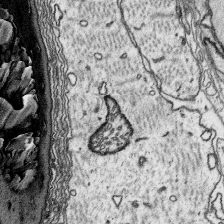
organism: Platynereis dumerilii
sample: Parapodia